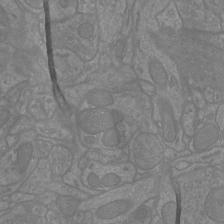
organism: Mouse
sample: Cortical neurons